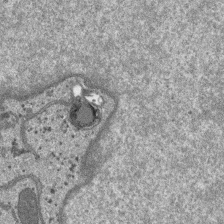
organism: Human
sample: Lung epithelial cells infected with SARS-CoV-2